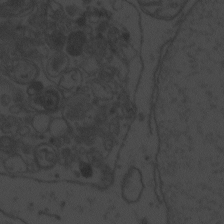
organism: Zebrafish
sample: Macrophage infected with Toxoplasma gondii